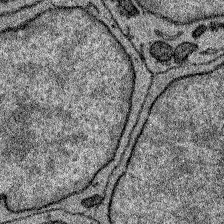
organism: Zebrafish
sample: Larval olfactory bulb